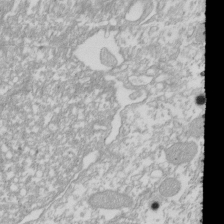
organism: Xenopus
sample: Cilia; centrioles in frog embryo cells